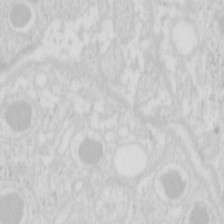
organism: Mouse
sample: Pancreas